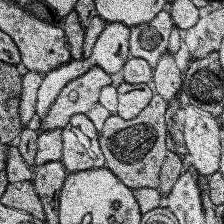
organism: Human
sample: Temporal Lobe